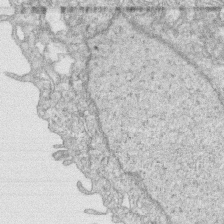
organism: Human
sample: HeLa cell HIV synapse